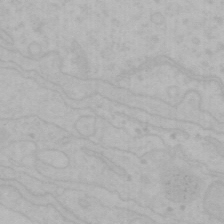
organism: Mouse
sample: Choroid plexus